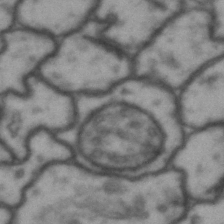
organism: Drosophila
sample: Brain